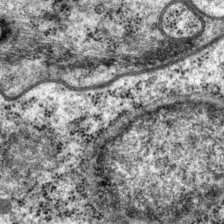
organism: P. pacificus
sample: Pharynx